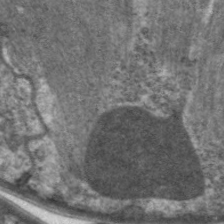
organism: C. elegans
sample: Pharynx